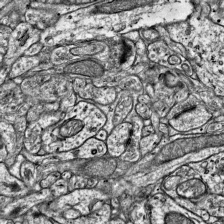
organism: Mouse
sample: Visual Cortex